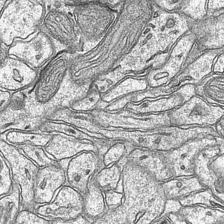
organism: Mouse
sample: CA1 Hippocampus